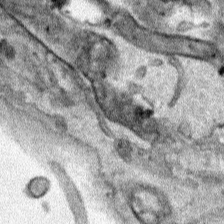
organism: Human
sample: Mitochondria in HCT116 cells